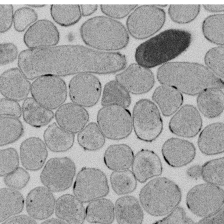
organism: E. coli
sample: Bacterial nucleoid